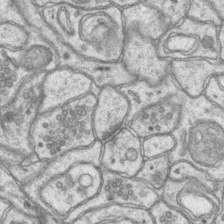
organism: Mouse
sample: CA1 Hippocampus